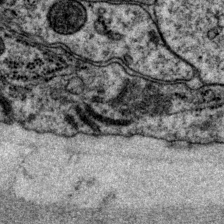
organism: P. pacificus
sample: Pharynx